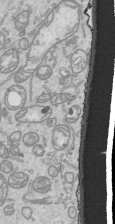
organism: Human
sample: Mitochondria in HCT116 cells